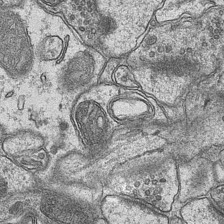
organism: Mouse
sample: CA1 Hippocampus